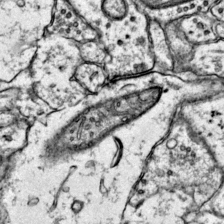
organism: Mouse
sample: Primary visual cortex